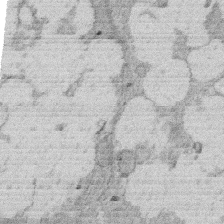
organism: Rat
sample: Salivary granule